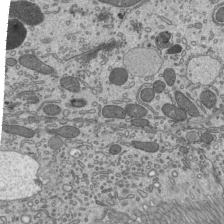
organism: Mouse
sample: Mouse epididymis efferent ductule cilia